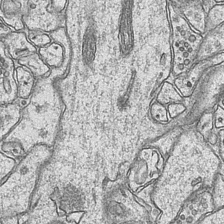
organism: Mouse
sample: CA1 Hippocampus